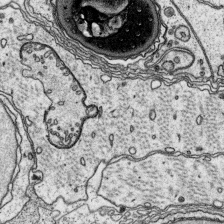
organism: Platynereis dumerilii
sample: Parapodia